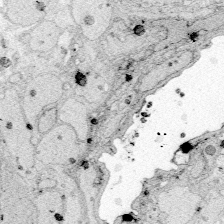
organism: Zebrafish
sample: Whole-Brain